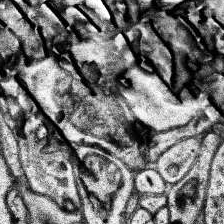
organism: Human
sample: Temporal Lobe